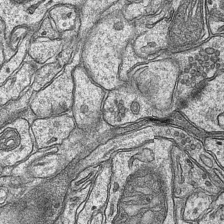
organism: Mouse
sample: CA1 Hippocampus